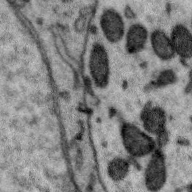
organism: Zebra finch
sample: Brain